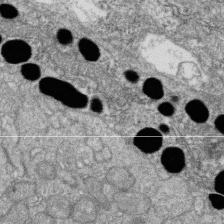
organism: Zebrafish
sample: Cilia; retinal pigment epithelium